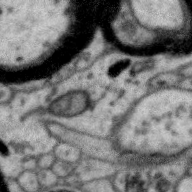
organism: Zebra finch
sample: Brain